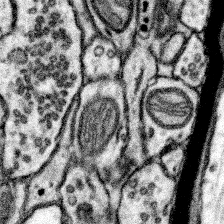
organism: Mouse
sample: Somatosensory cortex neuropil